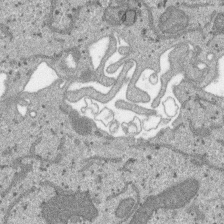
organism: Human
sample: Lung epithelial cells infected with SARS-CoV-2